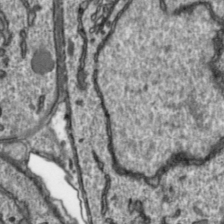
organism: Toxoplasma gondii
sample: Parasites in a vacuole inside a host cell